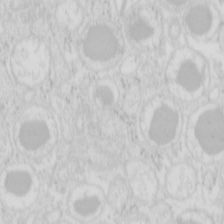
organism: Mouse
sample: Pancreas